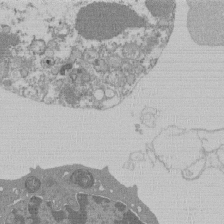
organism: Mouse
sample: Activated Pmel transgenic CD8+ T Cells